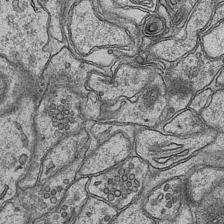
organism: Mouse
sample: CA1 Hippocampus